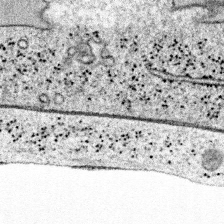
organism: Human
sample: HeLa cells